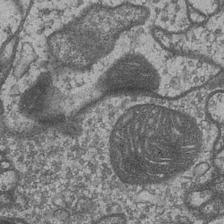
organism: Drosophila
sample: Optic medulla